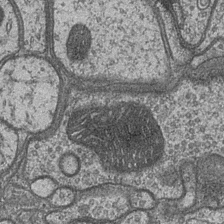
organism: Drosophila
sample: Optic medulla